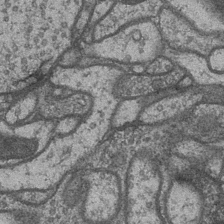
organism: Drosophila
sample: Optic medulla